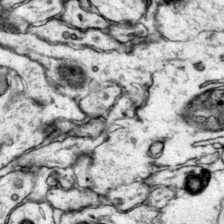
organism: Mouse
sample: Primary visual cortex